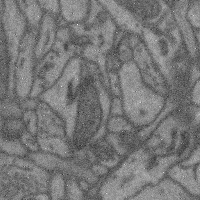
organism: Mouse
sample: Cerebral cortex